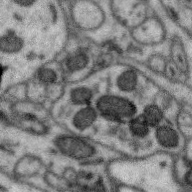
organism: Zebra finch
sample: Brain